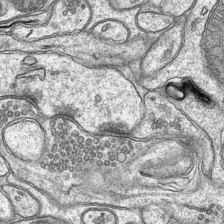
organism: Mouse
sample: CA1 Hippocampus